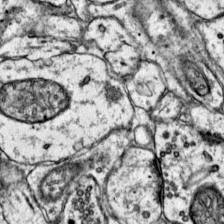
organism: Mouse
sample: Primary visual cortex